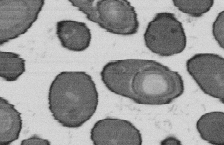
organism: B. subtilis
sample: Bacterial spore